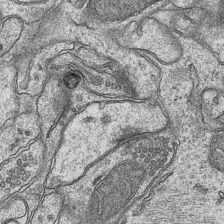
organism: Mouse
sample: CA1 Hippocampus